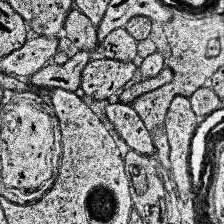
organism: Human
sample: Temporal Lobe